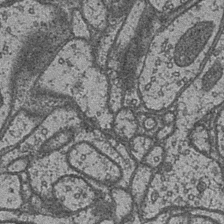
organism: Drosophila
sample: Optic medulla